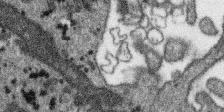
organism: Human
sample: Lung epithelial cells infected with SARS-CoV-2